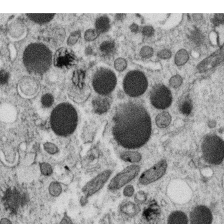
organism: C. elegans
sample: C. elegans oocyte; sperm cells